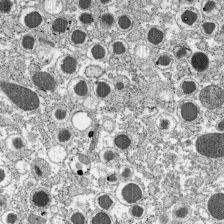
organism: C57BL Mouse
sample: Pancreatic islet